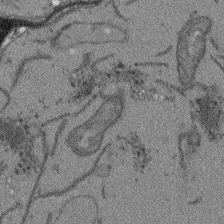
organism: Arabidopsis thaliana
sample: Root tip